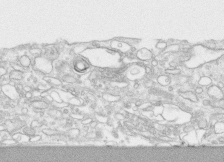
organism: Human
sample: CRL-1474